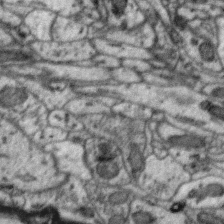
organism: Zebra finch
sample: Brain